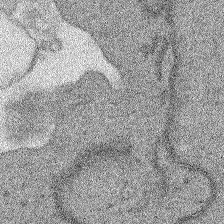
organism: Human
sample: HeLa cells